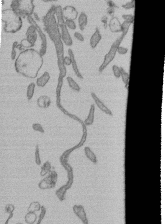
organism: Human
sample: Retinal organoid Rod and Cone cells